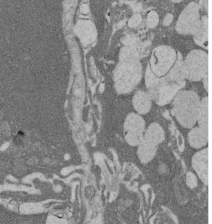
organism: Rat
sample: Salivary granule